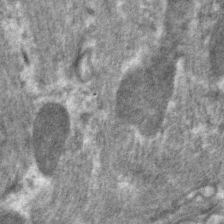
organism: C. elegans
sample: Pharynx